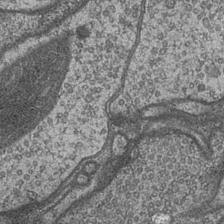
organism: Drosophila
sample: Optic medulla